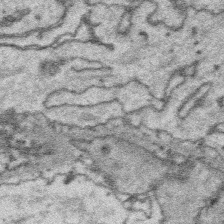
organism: Platynereis dumerilii